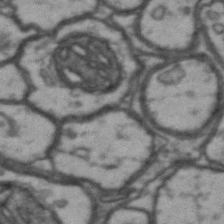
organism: Drosophila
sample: Brain